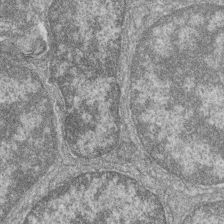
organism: Zebrafish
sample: Cilia; retinal pigment epithelium